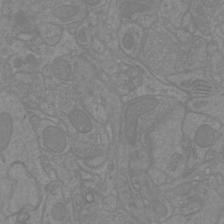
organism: Mouse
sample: Cortical neurons